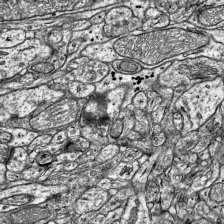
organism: Mouse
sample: Visual Cortex